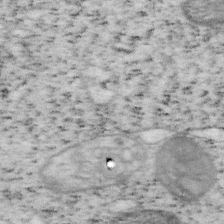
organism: Mouse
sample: OT-I killer T cells with ID8 ovarian cancer cells